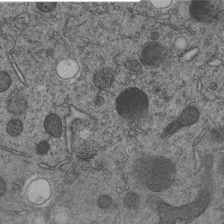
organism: C. elegans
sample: C. elegans embryo early stage